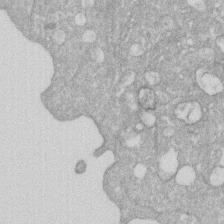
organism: Human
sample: HIV infected U937 cells